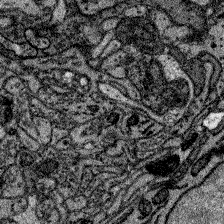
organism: Zebrafish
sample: Larval olfactory bulb